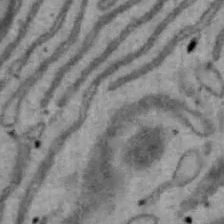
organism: Mouse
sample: Liver